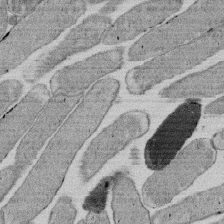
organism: E. coli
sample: Bacterial nucleoid